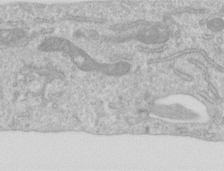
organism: Human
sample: Centriole in RPE cells